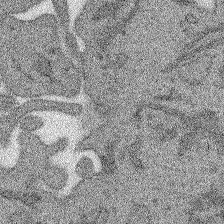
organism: Human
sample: HeLa cells